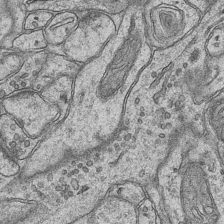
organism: Mouse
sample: CA1 Hippocampus